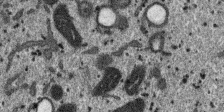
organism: Human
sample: Lung epithelial cells infected with SARS-CoV-2